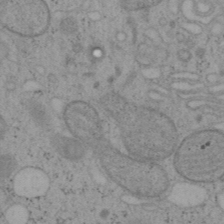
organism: Mouse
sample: OT-I killer T cells with ID8 ovarian cancer cells